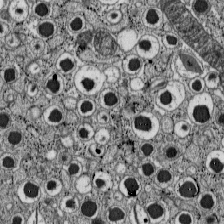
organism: C57BL Mouse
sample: Pancreatic islet